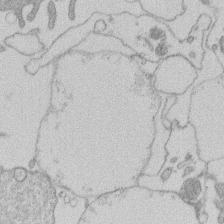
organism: Human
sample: Macrophage cells